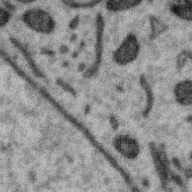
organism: Zebra finch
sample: Brain